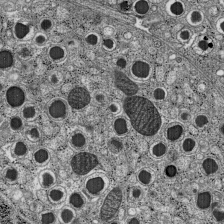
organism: C57BL Mouse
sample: Pancreatic islet